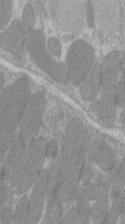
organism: C57BL Mouse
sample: Tibialis anterior muscle cell